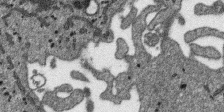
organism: Human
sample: Lung epithelial cells infected with SARS-CoV-2